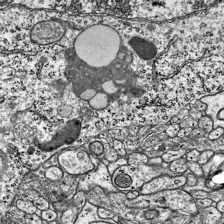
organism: Mouse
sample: Visual Cortex